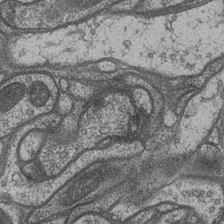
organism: Drosophila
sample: Optic medulla